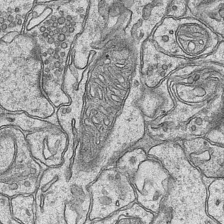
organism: Mouse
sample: CA1 Hippocampus